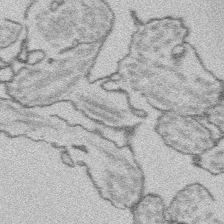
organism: Platynereis dumerilii